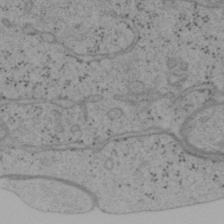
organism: Human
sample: HeLa cells